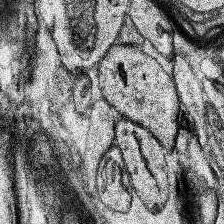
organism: Human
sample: Temporal Lobe